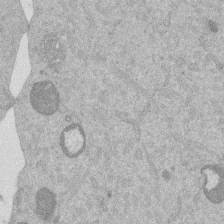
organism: Mouse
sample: Dividing mouse embryo 1 cell stage